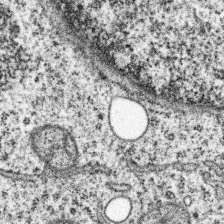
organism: Human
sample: HeLa cells